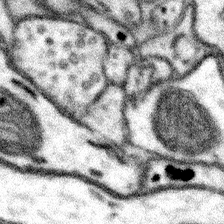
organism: Mouse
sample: Somatosensory cortex neuropil